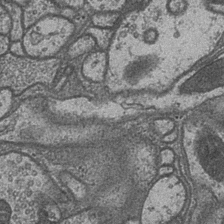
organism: Drosophila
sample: Optic medulla